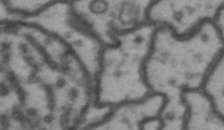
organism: Drosophila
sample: Brain